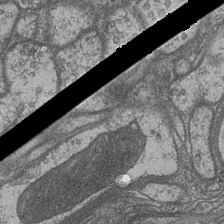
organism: Drosophila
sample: Optic medulla